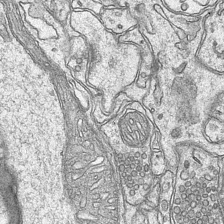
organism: Mouse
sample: CA1 Hippocampus